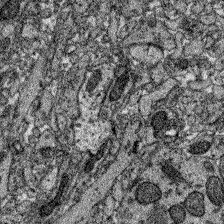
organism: Zebrafish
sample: Larval olfactory bulb